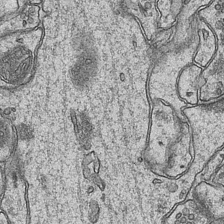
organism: Mouse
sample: CA1 Hippocampus